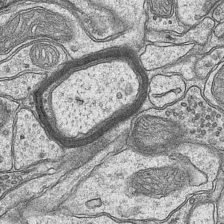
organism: Mouse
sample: CA1 Hippocampus